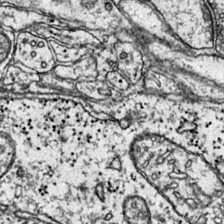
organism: Mouse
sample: Primary visual cortex